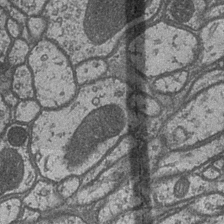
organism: Drosophila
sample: Optic medulla